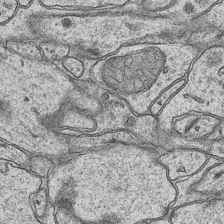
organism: Mouse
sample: CA1 Hippocampus